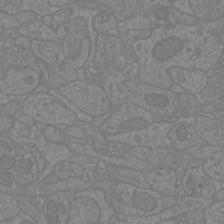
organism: Mouse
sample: Cortical neurons